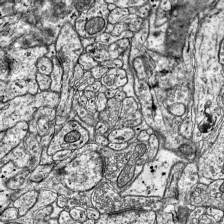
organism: Mouse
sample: Visual Cortex